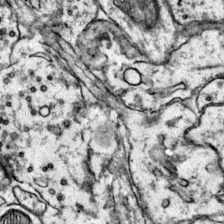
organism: Mouse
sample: Primary visual cortex